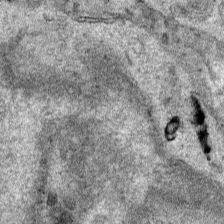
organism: Human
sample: Mitochondria in HCT116 cells